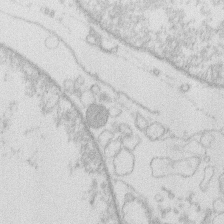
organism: Human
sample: Macrophage cells